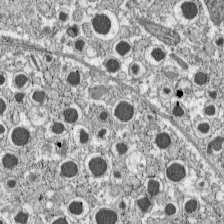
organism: C57BL Mouse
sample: Pancreatic islet